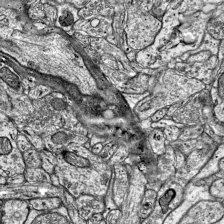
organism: Mouse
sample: Visual Cortex